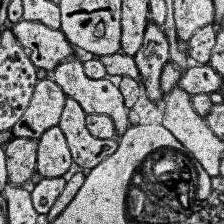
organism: Human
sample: Temporal Lobe